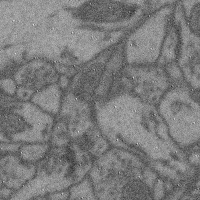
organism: Mouse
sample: Cerebral cortex